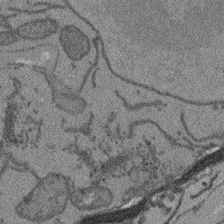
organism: Arabidopsis thaliana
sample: Root tip